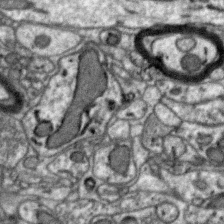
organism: Zebra finch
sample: Brain